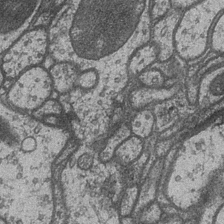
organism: Drosophila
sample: Optic medulla